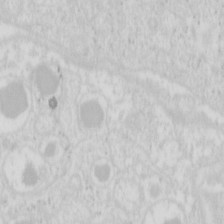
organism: Mouse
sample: Pancreas